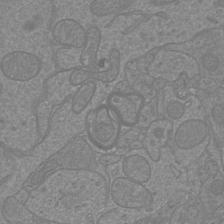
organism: Mouse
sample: Cortical neurons